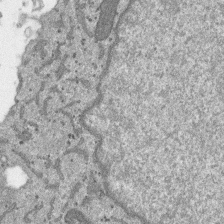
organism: Human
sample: Lung epithelial cells infected with SARS-CoV-2